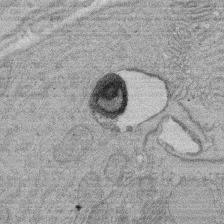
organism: Rat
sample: Salivary granule